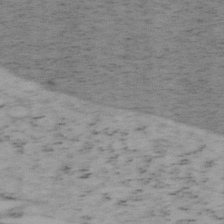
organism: Mouse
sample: OT-I killer T cells with ID8 ovarian cancer cells